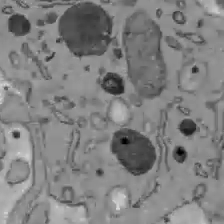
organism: C57BL Mouse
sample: Liver